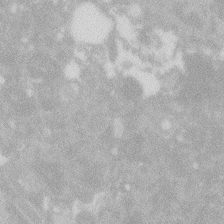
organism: Zebrafish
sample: Macrophage